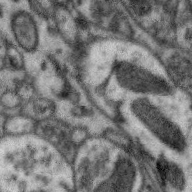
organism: Zebra finch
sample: Brain